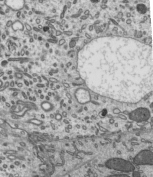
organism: Mouse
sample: Mouse epididymis efferent ductule cilia